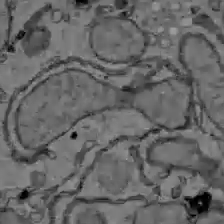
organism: C57BL Mouse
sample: Liver